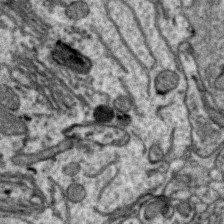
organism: Zebra finch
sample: Brain